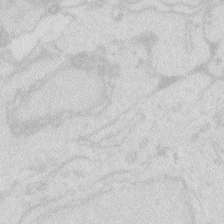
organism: Zebrafish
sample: Macrophage